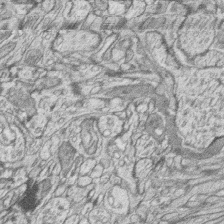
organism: Zebrafish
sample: synaptic ribbons in rod cells and cone cells